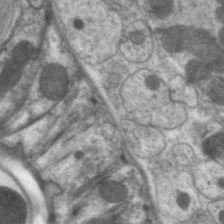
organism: C. elegans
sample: Pharynx